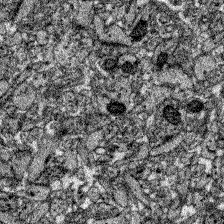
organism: Zebrafish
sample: Larval olfactory bulb